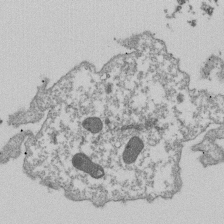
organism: Dictyostelium discoideum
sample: Dictyostelium multivesicular bodies